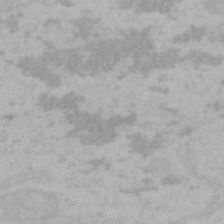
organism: Mouse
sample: Choroid plexus